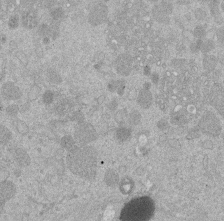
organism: Mouse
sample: Dividing mouse embryo 1 cell stage